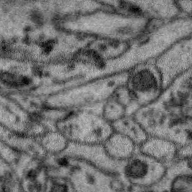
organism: Zebra finch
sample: Brain